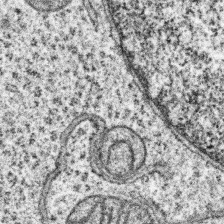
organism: Human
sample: HeLa cells